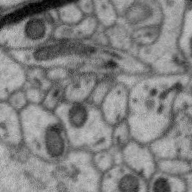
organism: Zebra finch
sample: Brain